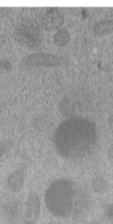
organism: C. elegans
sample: C. elegans embryo early stage